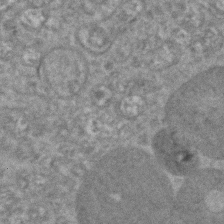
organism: Zebrafish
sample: Zebrafish embryo